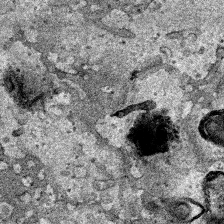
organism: Human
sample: Mitochondria in HCT116 cells